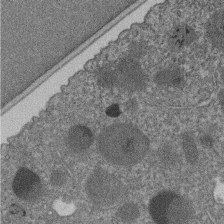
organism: C. elegans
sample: C. elegans embryo early stage